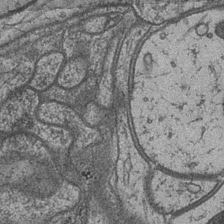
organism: Drosophila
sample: Optic medulla